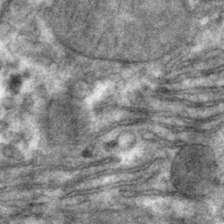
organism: Mouse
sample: Mouse hepatocytes